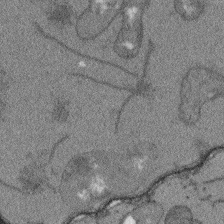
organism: Arabidopsis thaliana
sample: Root tip